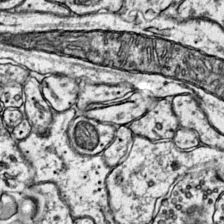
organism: Mouse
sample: Primary visual cortex